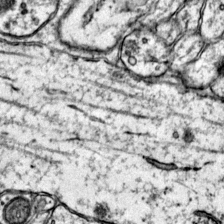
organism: Mouse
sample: Primary visual cortex